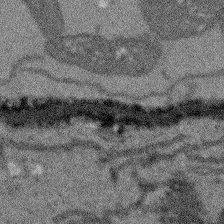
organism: Arabidopsis thaliana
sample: Root tip